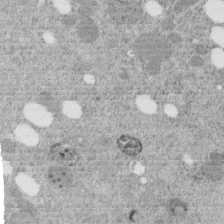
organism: C. elegans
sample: C. elegans embryo early stage